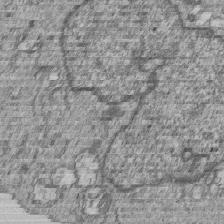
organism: Human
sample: MDA-MB-231 cells